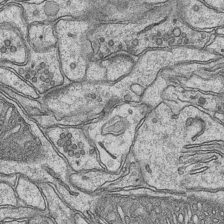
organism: Mouse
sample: CA1 Hippocampus